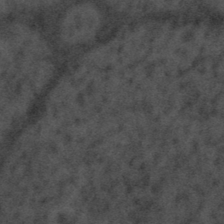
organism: Tuwongella immobilis